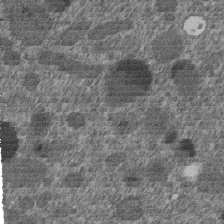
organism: C. elegans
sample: C. elegans embryo early stage